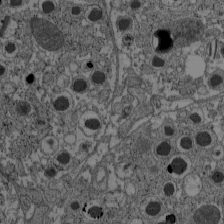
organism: C57BL Mouse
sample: Pancreatic islet